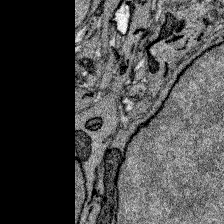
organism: Zebrafish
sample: Larval olfactory bulb